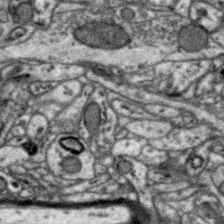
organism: Zebra finch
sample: Brain